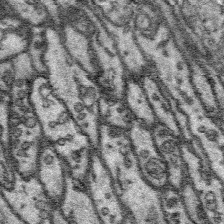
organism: Platynereis dumerilii